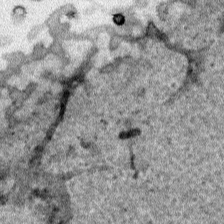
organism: Human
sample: Mitochondria in HCT116 cells